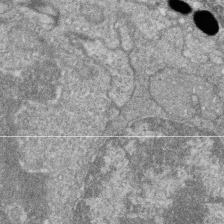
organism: Zebrafish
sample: Cilia; retinal pigment epithelium